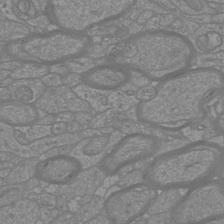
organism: Mouse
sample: Cortical neurons